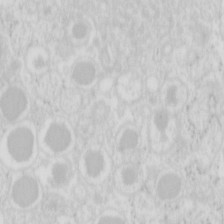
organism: Mouse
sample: Pancreas